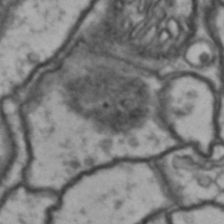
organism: Drosophila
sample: Brain